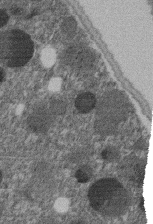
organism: C. elegans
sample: C. elegans embryo early stage